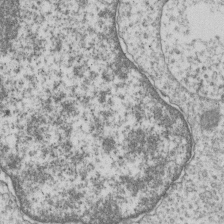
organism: Human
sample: MDA-MB-231 cells